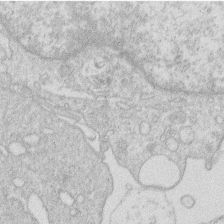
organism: Human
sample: Macrophage cells